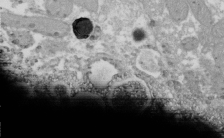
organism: Xenopus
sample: Cilia; centrioles in frog embryo cells